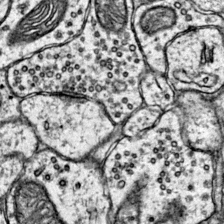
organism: Mouse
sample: Primary visual cortex